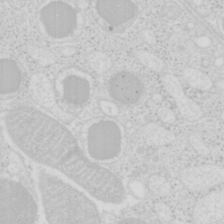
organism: Mouse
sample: Pancreas